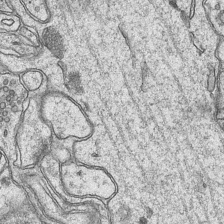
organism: Mouse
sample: CA1 Hippocampus